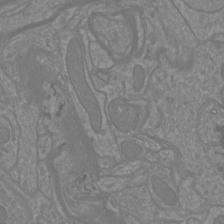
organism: Mouse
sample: Cortical neurons